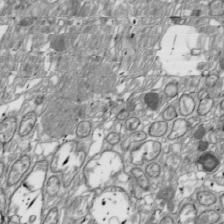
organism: Drosophila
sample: Cell division; meiosis; drosophila spermatocytes